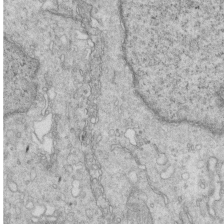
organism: Mouse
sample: Multiciliated cells